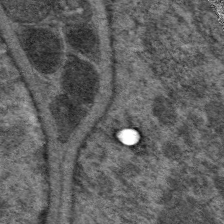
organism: C. elegans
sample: Pharynx